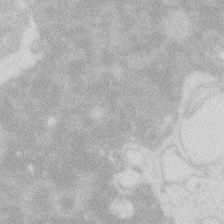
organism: Zebrafish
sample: Macrophage